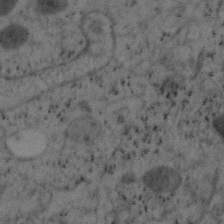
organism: Human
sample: HeLa cells